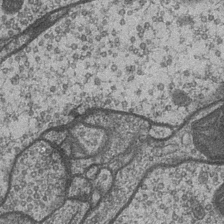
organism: Drosophila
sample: Optic medulla